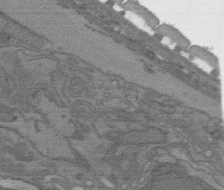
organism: C. elegans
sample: AFD neurons C. elegans